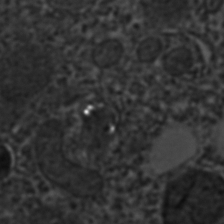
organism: C. elegans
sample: C. elegans embryo